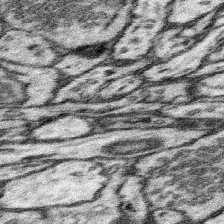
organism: Mouse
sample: Somatosensory cortex neuropil